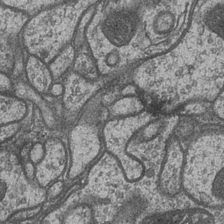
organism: Drosophila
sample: Optic medulla